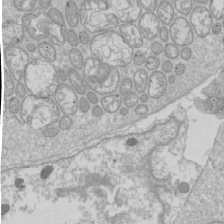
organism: Drosophila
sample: Cell division; meiosis; drosophila spermatocytes